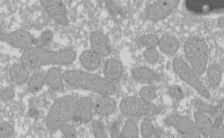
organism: Xenopus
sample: Cilia; centrioles in frog embryo cells